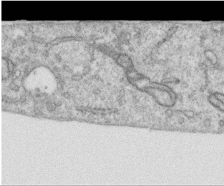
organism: Human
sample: Centriole in RPE cells